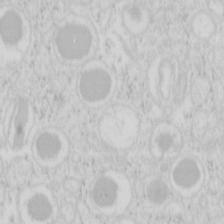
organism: Mouse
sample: Pancreas